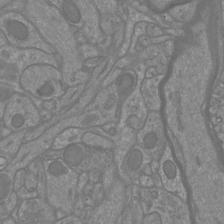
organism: Mouse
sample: Cortical neurons